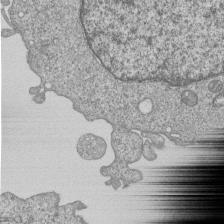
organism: Human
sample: MDA-MB-231 cells